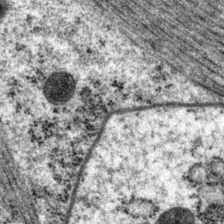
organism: P. pacificus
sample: Pharynx